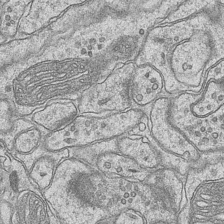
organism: Mouse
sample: CA1 Hippocampus